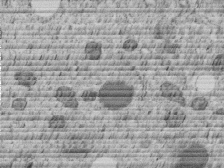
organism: C. elegans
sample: C. elegans embryo early stage